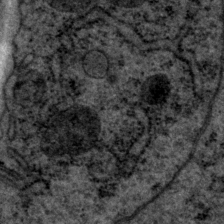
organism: P. pacificus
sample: Pharynx